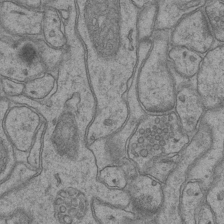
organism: Mouse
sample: CA1 Hippocampus